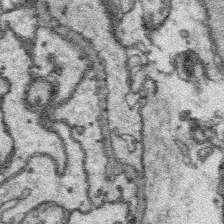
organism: Platynereis dumerilii